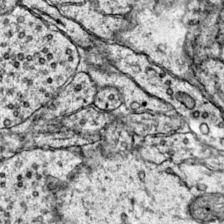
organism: Mouse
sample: Primary visual cortex